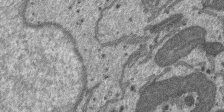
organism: Human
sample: Lung epithelial cells infected with SARS-CoV-2